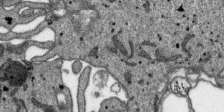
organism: Human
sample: Lung epithelial cells, uninfected (mock) control